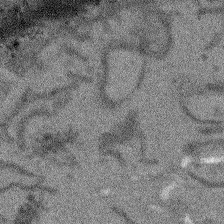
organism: Arabidopsis thaliana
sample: Root tip